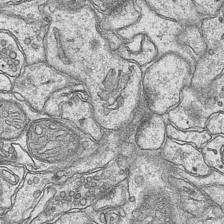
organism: Mouse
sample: CA1 Hippocampus